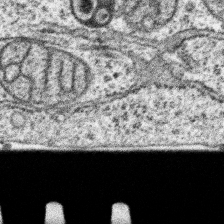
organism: Human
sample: HeLa cells